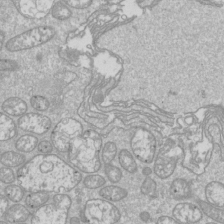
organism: Drosophila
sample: Cell division; meiosis; drosophila spermatocytes